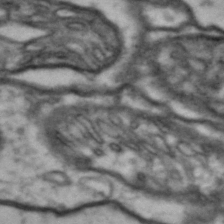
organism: Drosophila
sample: Brain